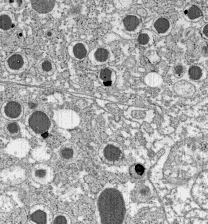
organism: C57BL Mouse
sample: Pancreatic islet